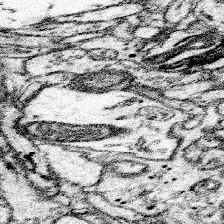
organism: Mouse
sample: Somatosensory cortex neuropil